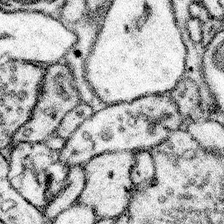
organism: Mouse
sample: Somatosensory cortex neuropil